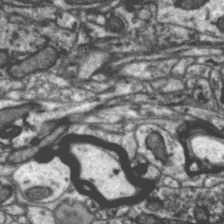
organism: Zebra finch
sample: Brain